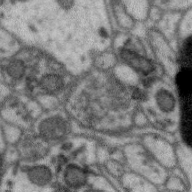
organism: Zebra finch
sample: Brain